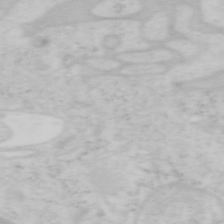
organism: Mouse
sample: OT-I killer T cells with ID8 ovarian cancer cells